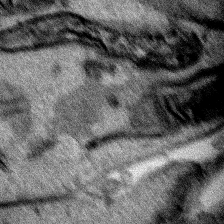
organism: Human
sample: Mitochondria in HCT116 cells